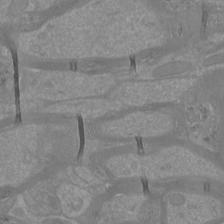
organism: Mouse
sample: Cortical neurons